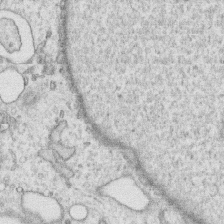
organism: Human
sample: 1205lu cells